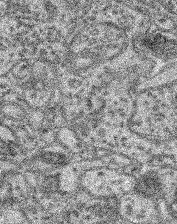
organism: Mouse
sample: Retina